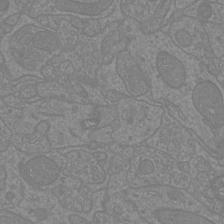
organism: Mouse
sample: Cortical neurons